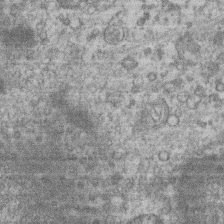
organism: Mouse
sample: T cell stromal cell synapse